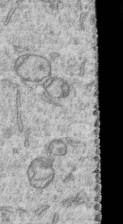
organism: Human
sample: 1205lu cells